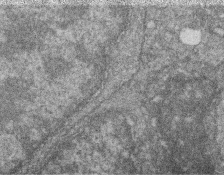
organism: Zebrafish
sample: Cilia; retinal pigment epithelium